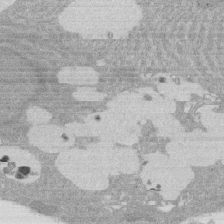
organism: Rat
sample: Salivary granule